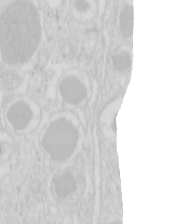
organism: Mouse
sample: Pancreas